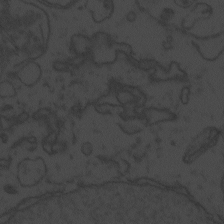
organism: Zebrafish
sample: Macrophage infected with Toxoplasma gondii